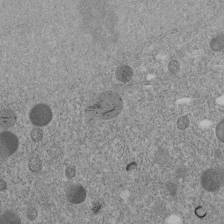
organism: C. elegans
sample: C. elegans embryo early stage